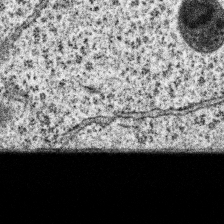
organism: Human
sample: HeLa cells